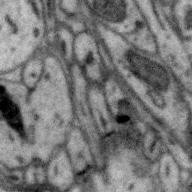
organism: Zebra finch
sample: Brain